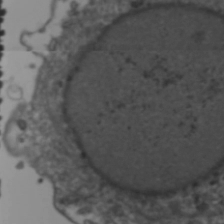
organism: Human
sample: HIV-1 Gag-iGFP